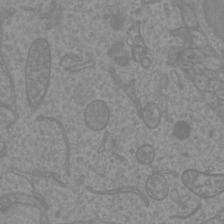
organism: Mouse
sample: Cortical neurons